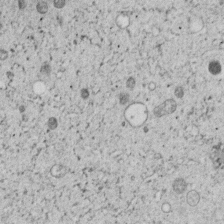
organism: C. elegans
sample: C. elegans embryo early stage